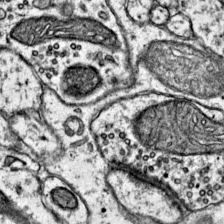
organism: Mouse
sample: Primary visual cortex